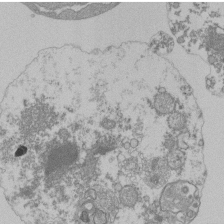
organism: Mouse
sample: Activated Pmel transgenic CD8+ T Cells